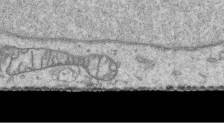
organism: Human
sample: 1205lu cells